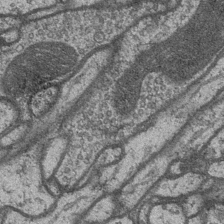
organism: Drosophila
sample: Optic medulla